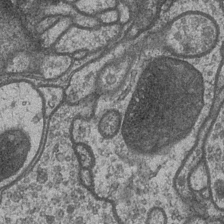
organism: Drosophila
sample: Optic medulla